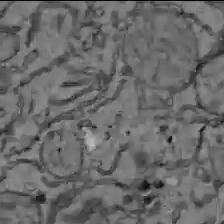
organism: C57BL Mouse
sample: Liver